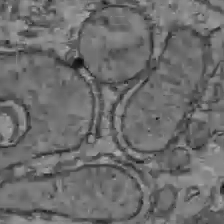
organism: C57BL Mouse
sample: Liver